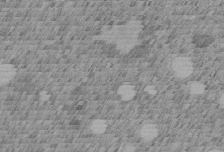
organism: C. elegans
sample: C. elegans embryo early stage